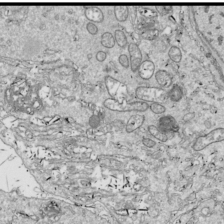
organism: Drosophila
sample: Cell division; meiosis; drosophila spermatocytes